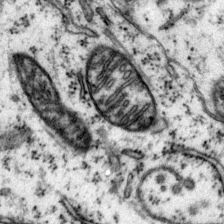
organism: Mouse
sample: Primary visual cortex